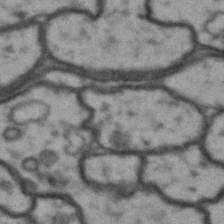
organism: Drosophila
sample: Brain